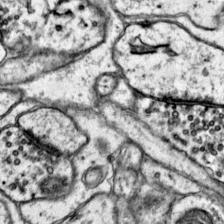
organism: Mouse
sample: Primary visual cortex